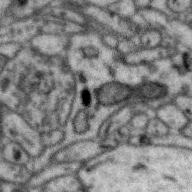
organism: Zebra finch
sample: Brain